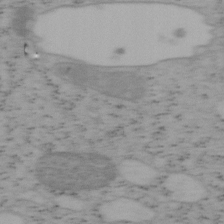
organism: Mouse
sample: OT-I killer T cells with ID8 ovarian cancer cells